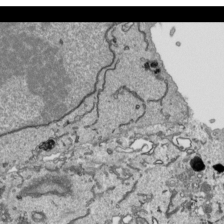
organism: Human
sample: Mitochondria in HCT116 cells